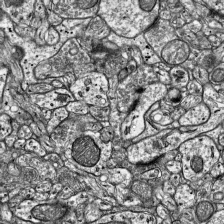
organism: Mouse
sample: Visual Cortex